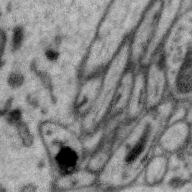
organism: Zebra finch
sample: Brain